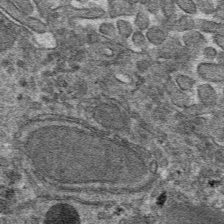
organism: Mouse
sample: Mouse hepatocytes